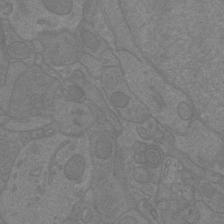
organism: Mouse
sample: Cortical neurons